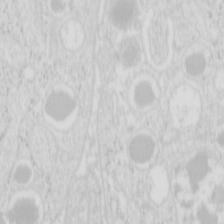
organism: Mouse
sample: Pancreas